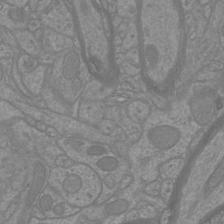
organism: Mouse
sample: Cortical neurons